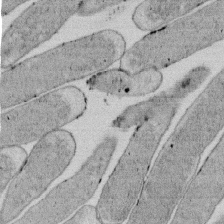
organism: E. coli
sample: Bacterial nucleoid